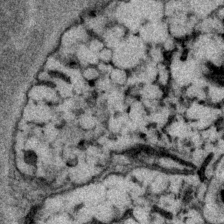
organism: P. pacificus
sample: Pharynx